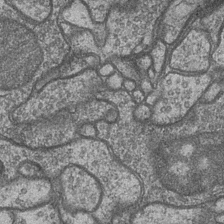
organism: Drosophila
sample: Optic medulla